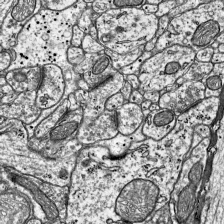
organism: Mouse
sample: Visual Cortex